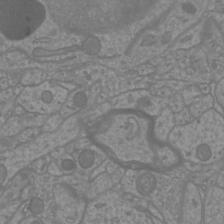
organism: Mouse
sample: Cortical neurons